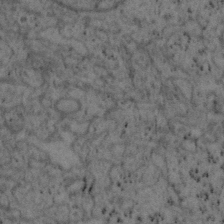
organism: Human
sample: HeLa cells